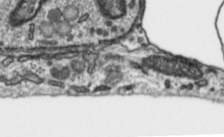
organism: Toxoplasma gondii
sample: Parasites in a vacuole inside a host cell